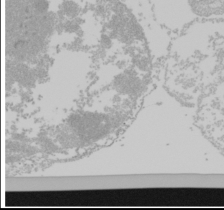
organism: Mouse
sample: Cancer cell death in ED-1 cells